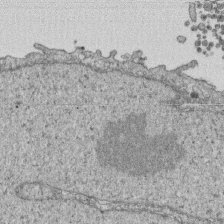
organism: Human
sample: HeLa cell HIV synapse